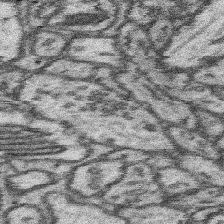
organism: Mouse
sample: Somatosensory cortex neuropil